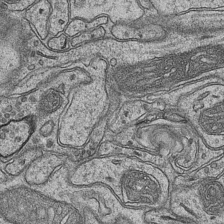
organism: Mouse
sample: CA1 Hippocampus